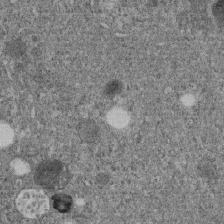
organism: C. elegans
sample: C. elegans embryo early stage